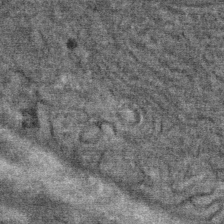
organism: Mouse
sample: Mouse Salivary gland